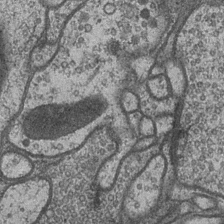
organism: Drosophila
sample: Optic medulla